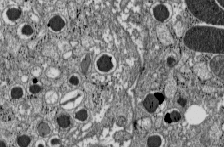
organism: C57BL Mouse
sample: Pancreatic islet